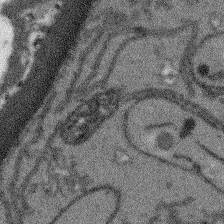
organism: Arabidopsis thaliana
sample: Root tip